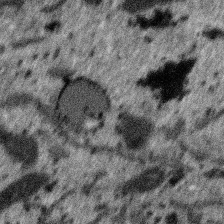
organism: Human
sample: Lung epithelial cells infected with SARS-CoV-2